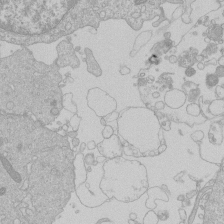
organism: Human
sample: Macrophage cells